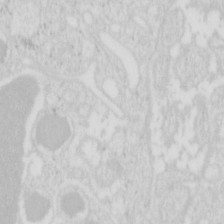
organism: Mouse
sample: Pancreas